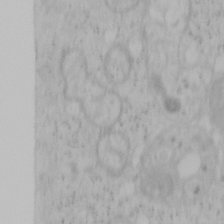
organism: Mouse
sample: OT-I killer T cells with ID8 ovarian cancer cells